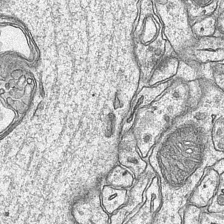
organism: Mouse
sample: CA1 Hippocampus